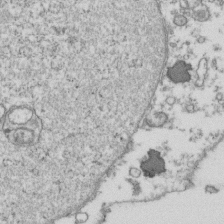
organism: Human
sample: Activated Jurkat CD4+ T cells